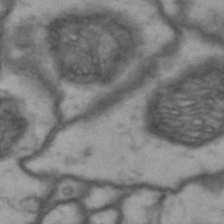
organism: Drosophila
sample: Brain